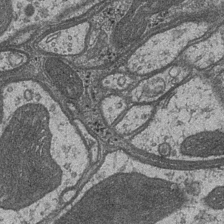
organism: Drosophila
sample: Optic medulla